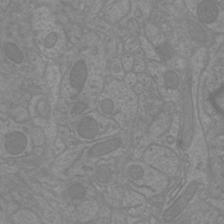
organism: Mouse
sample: Cortical neurons